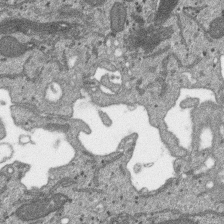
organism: Human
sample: Lung epithelial cells infected with SARS-CoV-2